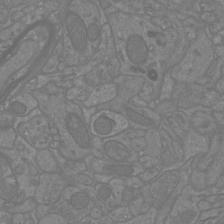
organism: Mouse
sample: Cortical neurons